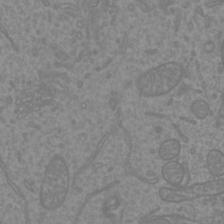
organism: Mouse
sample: Cortical neurons